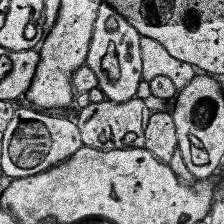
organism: Human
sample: Temporal Lobe